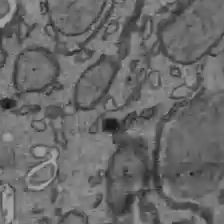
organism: C57BL Mouse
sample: Liver